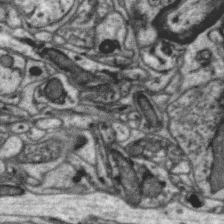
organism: Zebra finch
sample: Brain